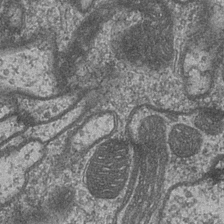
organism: Drosophila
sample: Optic medulla